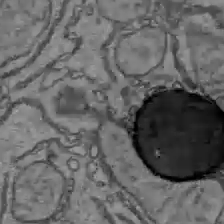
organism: C57BL Mouse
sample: Liver